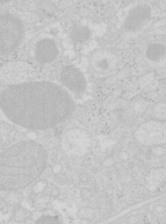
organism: Mouse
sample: Pancreas